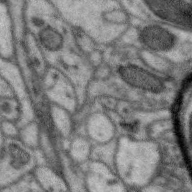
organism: Zebra finch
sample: Brain